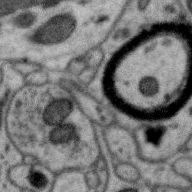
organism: Zebra finch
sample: Brain